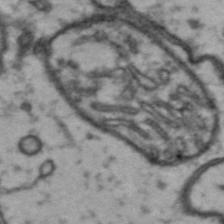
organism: Drosophila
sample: Brain